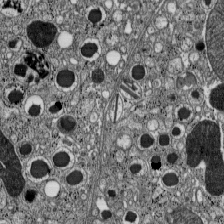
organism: C57BL Mouse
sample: Pancreatic islet